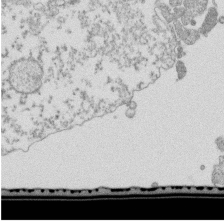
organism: Human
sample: HeLa cell HIV synapse